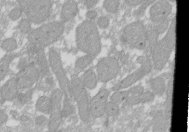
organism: Xenopus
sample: Cilia; centrioles in frog embryo cells